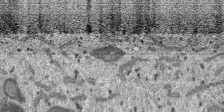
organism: Human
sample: Lung epithelial cells infected with SARS-CoV-2